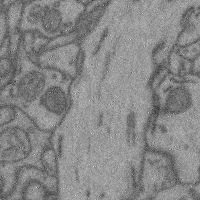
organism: Mouse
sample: Cerebral cortex